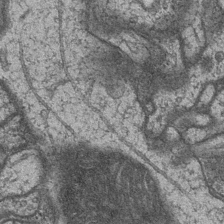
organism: Drosophila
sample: Optic medulla